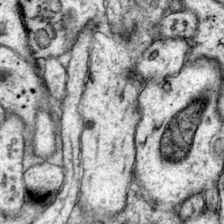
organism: Mouse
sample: Primary visual cortex